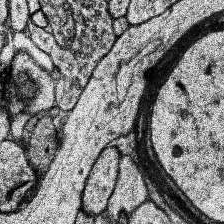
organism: Human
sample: Temporal Lobe